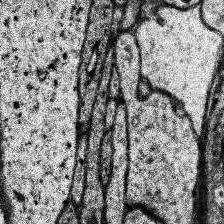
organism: Human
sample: Temporal Lobe